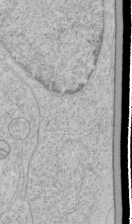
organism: Human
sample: Mitochondria in HCT116 cells